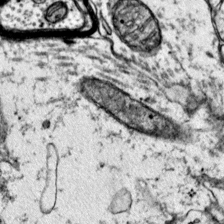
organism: Mouse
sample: Primary visual cortex